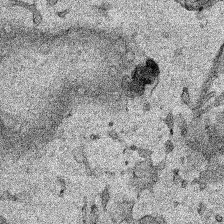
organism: Human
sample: Mitochondria in HCT116 cells